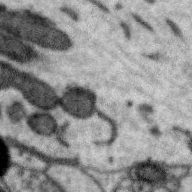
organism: Zebra finch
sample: Brain